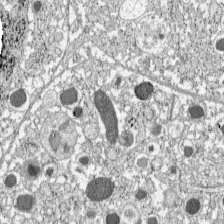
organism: C57BL Mouse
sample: Pancreatic islet